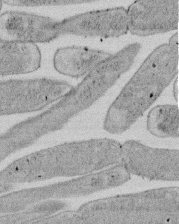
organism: E. coli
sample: Bacterial nucleoid